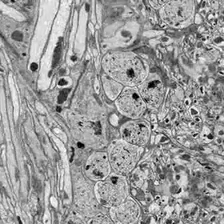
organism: Drosophila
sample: Optic lobe